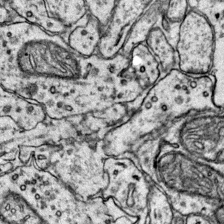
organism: Mouse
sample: Primary visual cortex